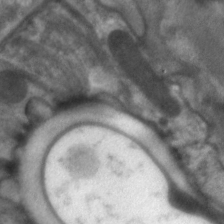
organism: C. elegans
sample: Pharynx